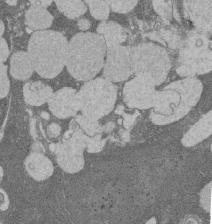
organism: Rat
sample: Salivary granule